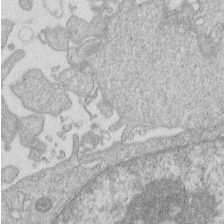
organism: Human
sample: Macrophage cells